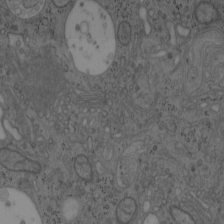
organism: Mouse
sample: OT-I killer T cells with ID8 ovarian cancer cells